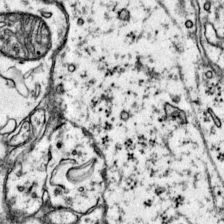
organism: Mouse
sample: Primary visual cortex